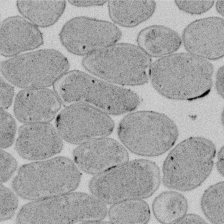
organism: E. coli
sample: Bacterial nucleoid